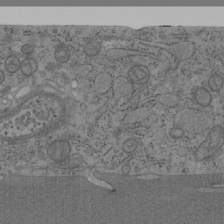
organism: Human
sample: HeLa cells